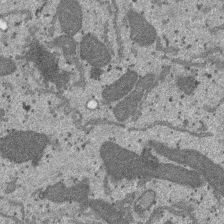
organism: Human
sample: Lung epithelial cells infected with SARS-CoV-2